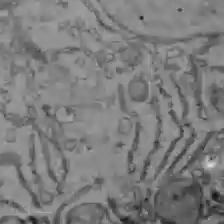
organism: C57BL Mouse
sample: Liver